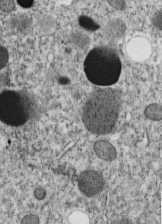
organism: C. elegans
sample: C. elegans embryo early stage